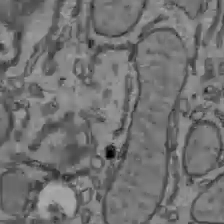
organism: C57BL Mouse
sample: Liver